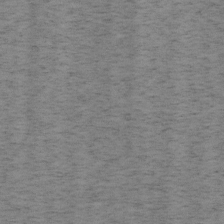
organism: Mouse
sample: OT-I killer T cells with ID8 ovarian cancer cells